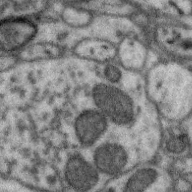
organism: Zebra finch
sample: Brain